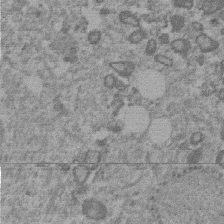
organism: Mouse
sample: Dividing mouse embryo 1 cell stage